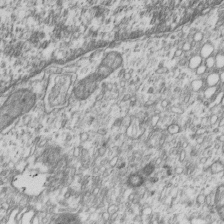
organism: Human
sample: MDA-MB-231 cells